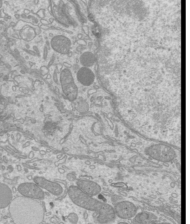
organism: Mouse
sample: Cilia; mouse epididymis